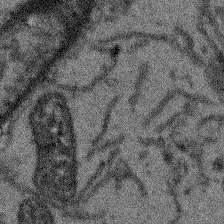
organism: Arabidopsis thaliana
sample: Root tip